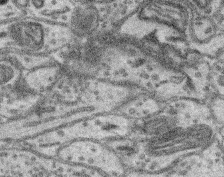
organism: Mouse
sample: Retina